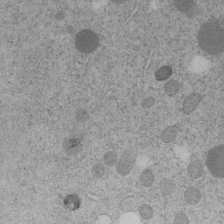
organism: C. elegans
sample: C. elegans embryo early stage